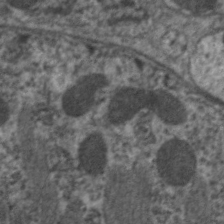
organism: C. elegans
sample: Pharynx